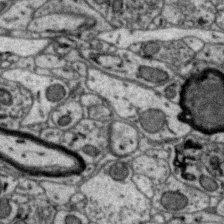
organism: Zebra finch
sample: Brain